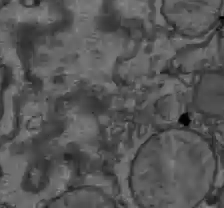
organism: C57BL Mouse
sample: Liver